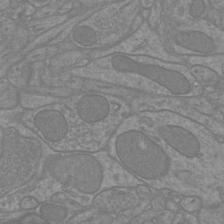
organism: Mouse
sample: Cortical neurons